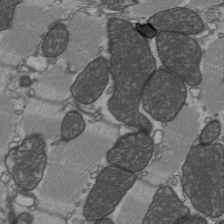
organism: C57BL Mouse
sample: Heart